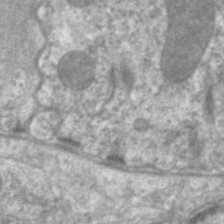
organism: C. elegans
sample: Pharynx